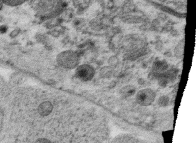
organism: C. elegans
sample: C. elegans oocyte; sperm cells